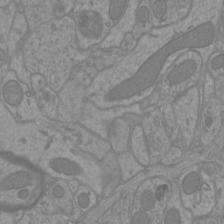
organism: Mouse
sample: Cortical neurons